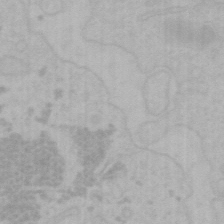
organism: Mouse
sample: Choroid plexus